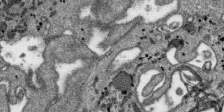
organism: Human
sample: Lung epithelial cells, uninfected (mock) control